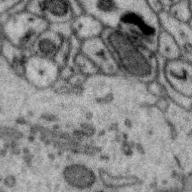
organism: Zebra finch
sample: Brain